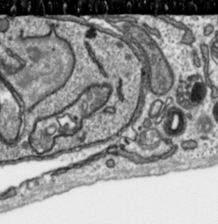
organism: Toxoplasma gondii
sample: Parasites in a vacuole inside a host cell